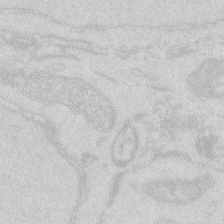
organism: Zebrafish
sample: Macrophage